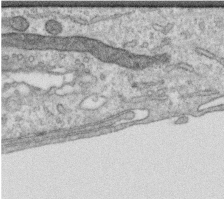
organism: Human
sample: Centriole in RPE cells